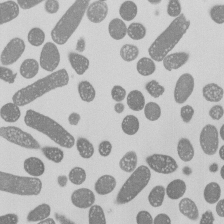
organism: E. coli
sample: Bacterial nucleoid